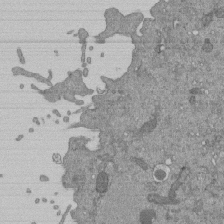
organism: Mouse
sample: ED-1 cell nuclei; centrioles